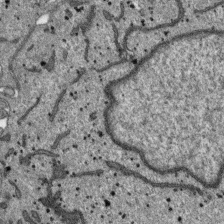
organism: Human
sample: Lung epithelial cells, uninfected (mock) control